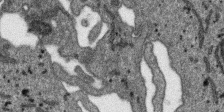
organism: Human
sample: Lung epithelial cells infected with SARS-CoV-2